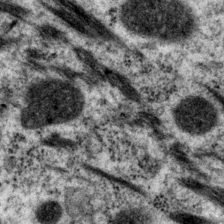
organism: P. pacificus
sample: Pharynx